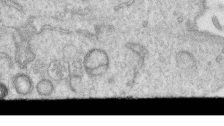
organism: Human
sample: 1205lu cells